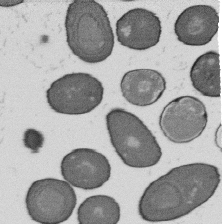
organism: B. subtilis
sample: Bacterial spore